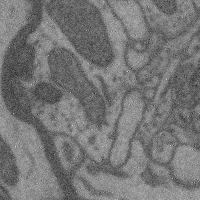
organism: Mouse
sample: Cerebral cortex